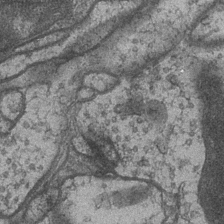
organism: Drosophila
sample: Optic medulla